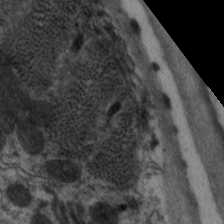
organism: C. elegans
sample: Pharynx